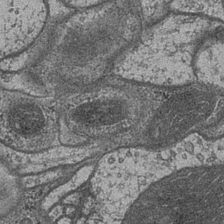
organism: Drosophila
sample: Optic medulla